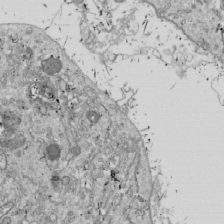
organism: Drosophila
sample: Cell division; meiosis; drosophila spermatocytes